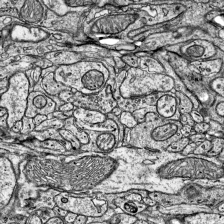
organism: Mouse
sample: Visual Cortex